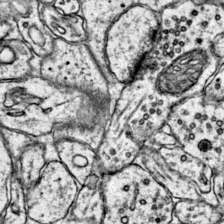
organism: Mouse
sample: Primary visual cortex